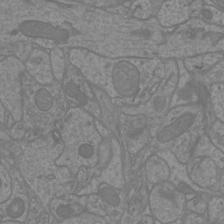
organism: Mouse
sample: Cortical neurons